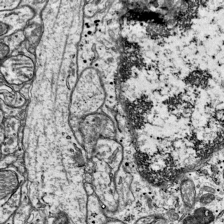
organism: Mouse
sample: Visual Cortex